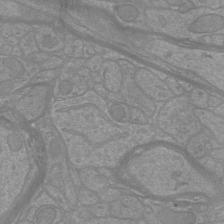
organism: Mouse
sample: Cortical neurons